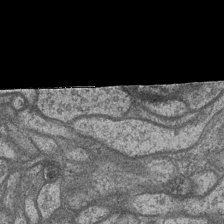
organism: Drosophila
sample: Optic medulla